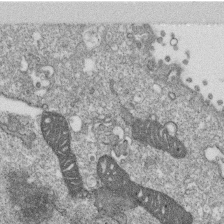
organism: African green monkey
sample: Vero E6 cells infected with SARS-CoV-2